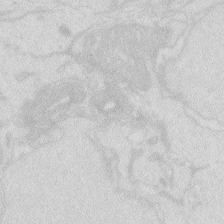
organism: Zebrafish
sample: Macrophage